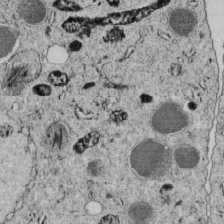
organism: C. elegans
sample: C. elegans embryo early stage